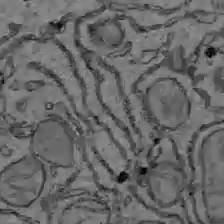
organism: C57BL Mouse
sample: Liver